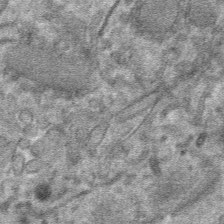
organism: Mouse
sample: Mouse hepatocytes